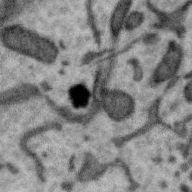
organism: Zebra finch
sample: Brain